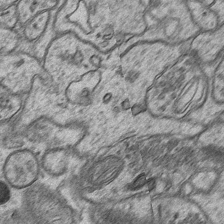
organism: Mouse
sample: CA1 Hippocampus